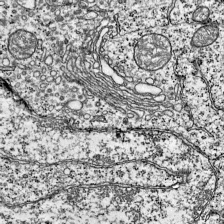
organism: Mouse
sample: Visual Cortex